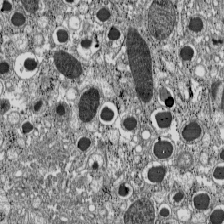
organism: C57BL Mouse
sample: Pancreatic islet